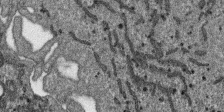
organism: Human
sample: Lung epithelial cells infected with SARS-CoV-2